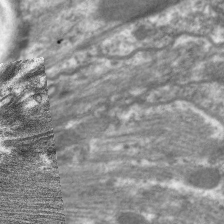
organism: C. elegans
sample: Pharynx